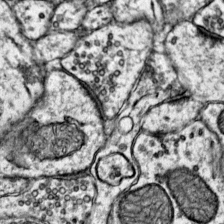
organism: Mouse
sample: Primary visual cortex